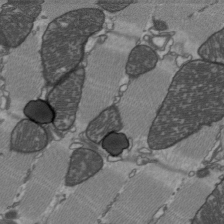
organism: C57BL Mouse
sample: Heart